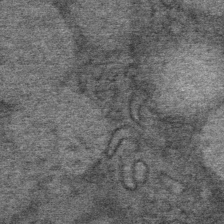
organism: Mouse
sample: Mouse Salivary gland